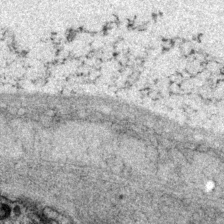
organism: P. pacificus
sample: Pharynx